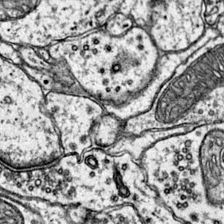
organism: Mouse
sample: Primary visual cortex